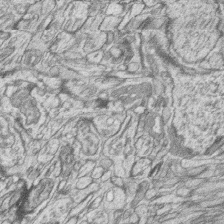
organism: Zebrafish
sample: synaptic ribbons in rod cells and cone cells